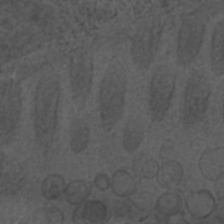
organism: C. elegans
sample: C. elegans embryo